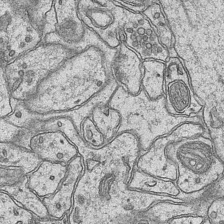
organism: Mouse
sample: CA1 Hippocampus